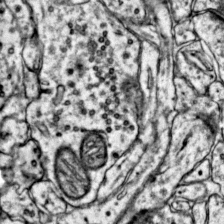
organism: Mouse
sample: Primary visual cortex